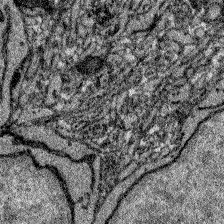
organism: Zebrafish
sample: Larval olfactory bulb